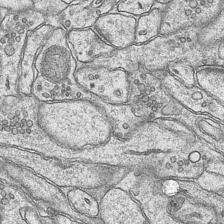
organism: Mouse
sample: CA1 Hippocampus